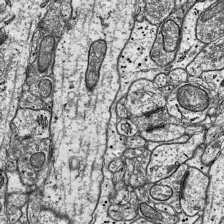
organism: Mouse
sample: Visual Cortex